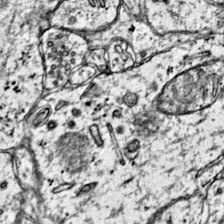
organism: Mouse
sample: Primary visual cortex